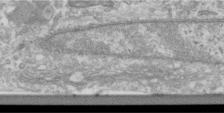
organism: Human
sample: Centriole in RPE cells